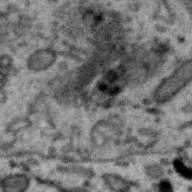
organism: Zebra finch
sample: Brain